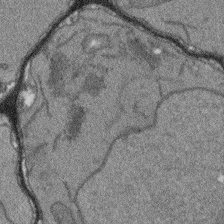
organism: Arabidopsis thaliana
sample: Root tip